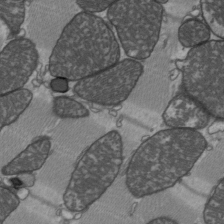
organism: C57BL Mouse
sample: Heart